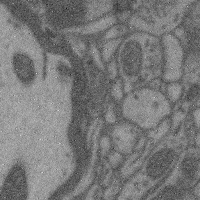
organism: Mouse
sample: Cerebral cortex